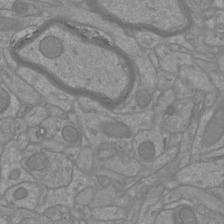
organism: Mouse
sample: Cortical neurons